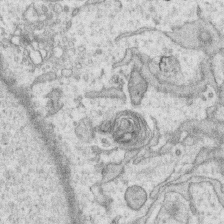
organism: Human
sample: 1205lu cells